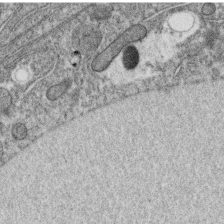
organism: C. elegans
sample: C. elegans oocyte; sperm cells